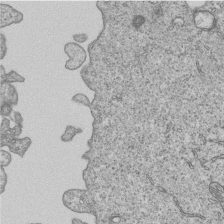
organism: Human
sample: MDA-MB-231 cells